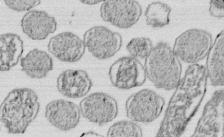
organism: E. coli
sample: Bacterial nucleoid